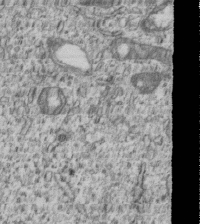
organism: Human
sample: MDA-MB-231 cells